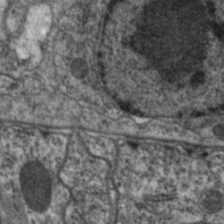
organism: C. elegans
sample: Pharynx